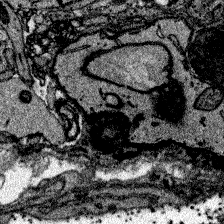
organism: Zebrafish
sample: Larval olfactory bulb